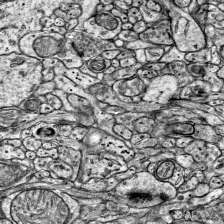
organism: Mouse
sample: Visual Cortex